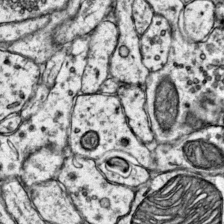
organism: Mouse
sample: Primary visual cortex